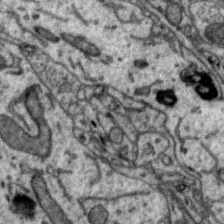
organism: Zebra finch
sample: Brain